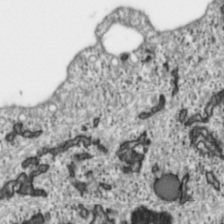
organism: Toxoplasma gondii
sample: Parasites in a vacuole inside a host cell